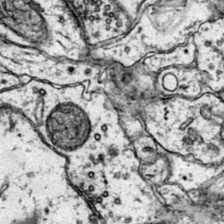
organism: Mouse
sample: Primary visual cortex